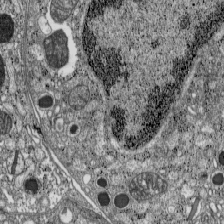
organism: C57BL Mouse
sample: Pancreatic islet